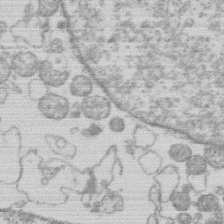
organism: Human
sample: Macrophage cells